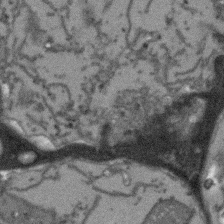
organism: Arabidopsis thaliana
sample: Root tip